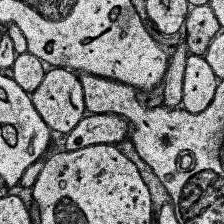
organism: Human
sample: Temporal Lobe